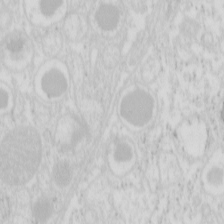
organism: Mouse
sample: Pancreas